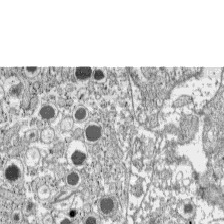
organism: C57BL Mouse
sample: Pancreatic islet